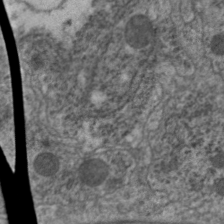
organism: C. elegans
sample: Pharynx